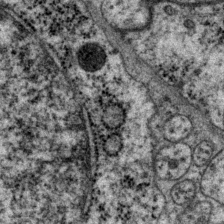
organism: P. pacificus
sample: Pharynx